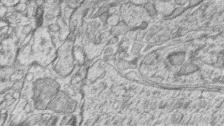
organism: Zebrafish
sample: synaptic ribbons in rod cells and cone cells